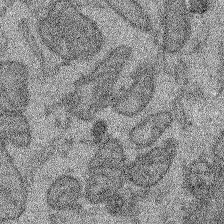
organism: Human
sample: HeLa cells